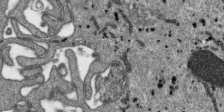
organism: Human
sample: Lung epithelial cells, uninfected (mock) control